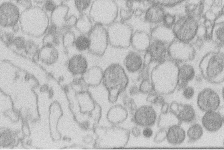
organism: Human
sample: Macrophage cells